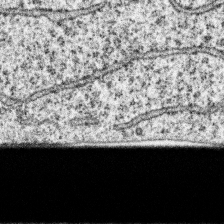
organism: Human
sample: HeLa cells